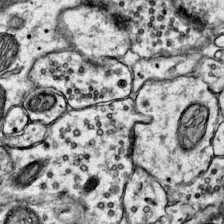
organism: Mouse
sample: Primary visual cortex